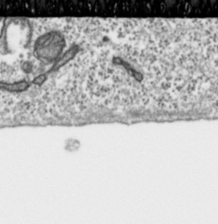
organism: Toxoplasma gondii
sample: Parasites in a vacuole inside a host cell